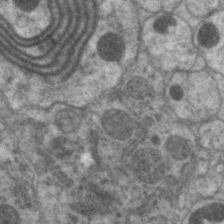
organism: C. elegans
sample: Pharynx